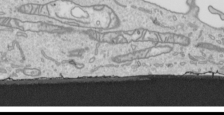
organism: Human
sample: Mitochondria in HCT116 cells